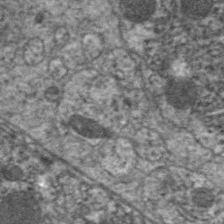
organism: C. elegans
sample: Pharynx